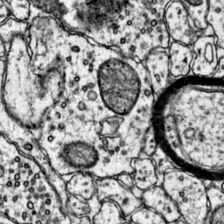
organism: Mouse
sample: Primary visual cortex